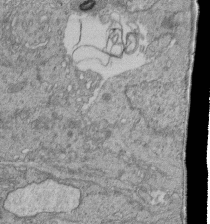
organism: Human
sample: Retinal organoid Rod and Cone cells